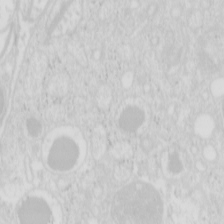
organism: Mouse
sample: Pancreas